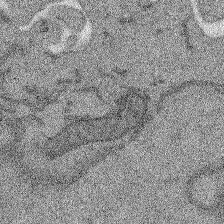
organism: Human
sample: HeLa cells